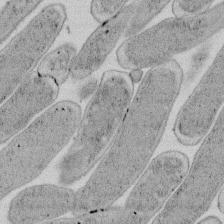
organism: E. coli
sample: Bacterial nucleoid